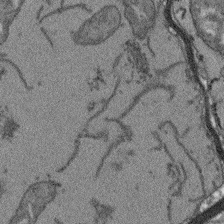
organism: Arabidopsis thaliana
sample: Root tip